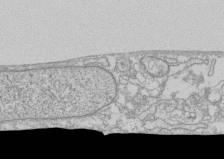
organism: Human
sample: CRL-1474